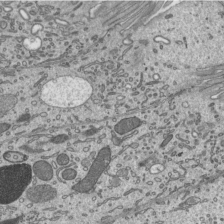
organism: Mouse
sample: Mouse epididymis efferent ductule cilia